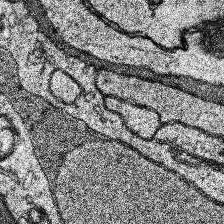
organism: Human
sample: Temporal Lobe